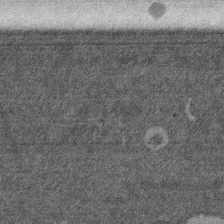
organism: Mouse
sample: Dividing mouse embryo 1 cell stage